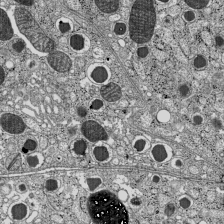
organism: C57BL Mouse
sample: Pancreatic islet